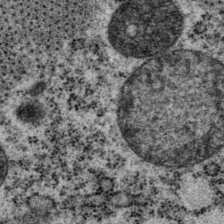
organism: P. pacificus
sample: Pharynx